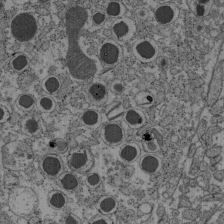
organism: C57BL Mouse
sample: Pancreatic islet